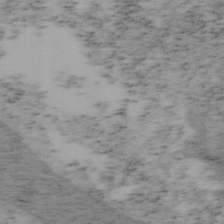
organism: Mouse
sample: OT-I killer T cells with ID8 ovarian cancer cells